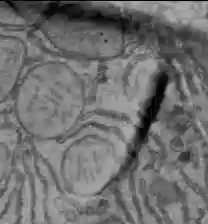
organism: C57BL Mouse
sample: Liver